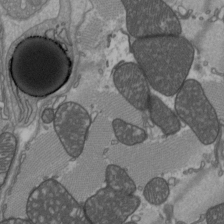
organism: C57BL Mouse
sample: Heart